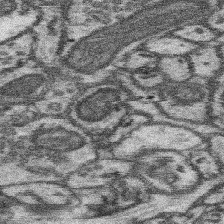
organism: Mouse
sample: Somatosensory cortex neuropil